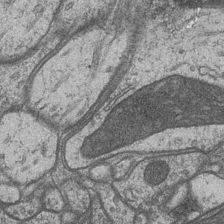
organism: Drosophila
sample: Optic medulla